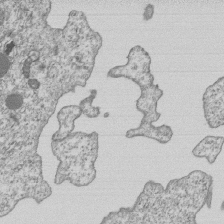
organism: Human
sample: MDA-MB-231 cells